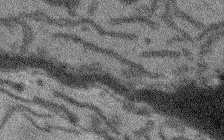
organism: Arabidopsis thaliana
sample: Root tip